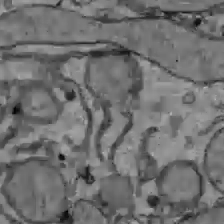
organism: C57BL Mouse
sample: Liver